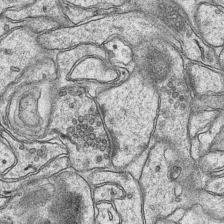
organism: Mouse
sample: CA1 Hippocampus